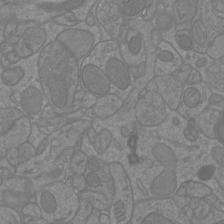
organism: Mouse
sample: Cortical neurons